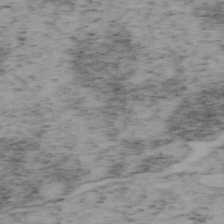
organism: Mouse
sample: OT-I killer T cells with ID8 ovarian cancer cells